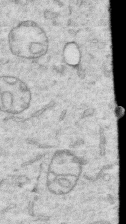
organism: Human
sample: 1205lu cells